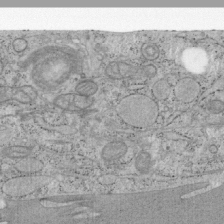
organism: Human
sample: HeLa cells